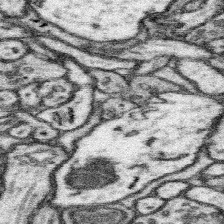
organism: Mouse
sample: Somatosensory cortex neuropil